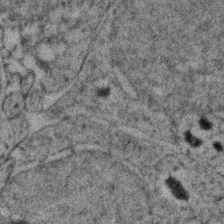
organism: Zebrafish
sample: Zebrafish embryo